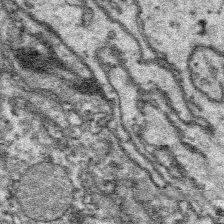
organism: Platynereis dumerilii